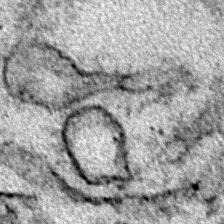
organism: Zebrafish